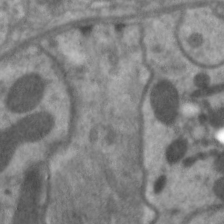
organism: C. elegans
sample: Pharynx